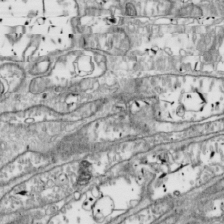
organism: Drosophila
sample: Cell division; meiosis; drosophila spermatocytes